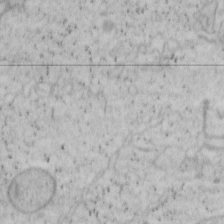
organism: Human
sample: HeLa cells